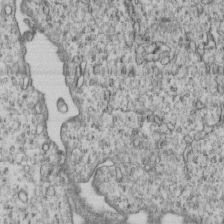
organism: Human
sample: MDA-MB-231 cells